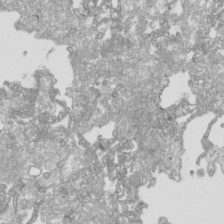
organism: Human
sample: Mitochondria in HCT116 cells